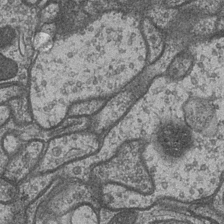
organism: Drosophila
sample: Optic medulla